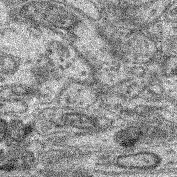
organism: Mouse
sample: Retina